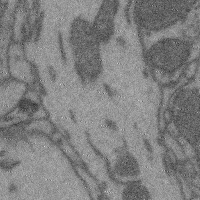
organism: Mouse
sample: Cerebral cortex